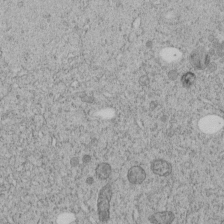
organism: C. elegans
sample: C. elegans embryo early stage